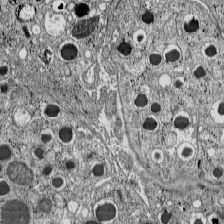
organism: C57BL Mouse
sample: Pancreatic islet